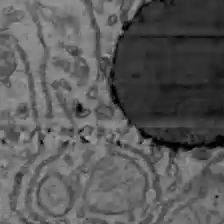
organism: C57BL Mouse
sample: Liver